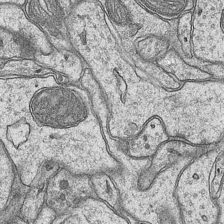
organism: Mouse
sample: CA1 Hippocampus